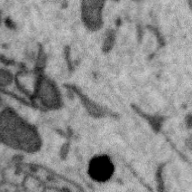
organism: Zebra finch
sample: Brain